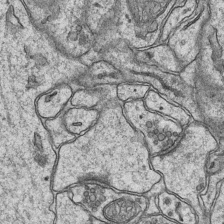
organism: Mouse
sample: CA1 Hippocampus